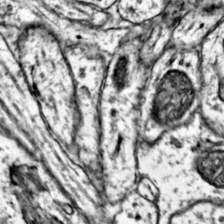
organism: Mouse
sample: Primary visual cortex